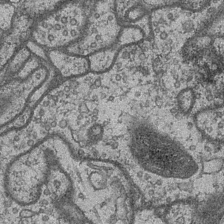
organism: Drosophila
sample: Optic medulla